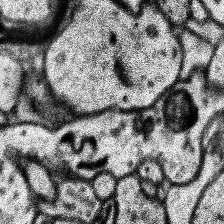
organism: Human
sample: Temporal Lobe